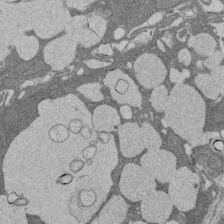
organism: Rat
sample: Salivary granule